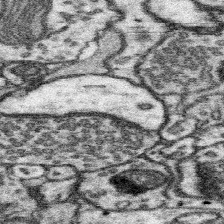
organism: Mouse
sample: Somatosensory cortex neuropil